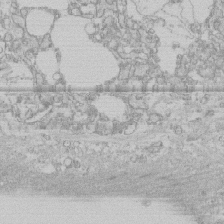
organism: Human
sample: CRL-1474